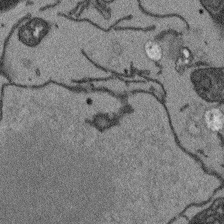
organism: Arabidopsis thaliana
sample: Root tip